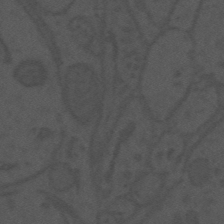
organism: Mouse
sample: Suprachiasmatic nucleus